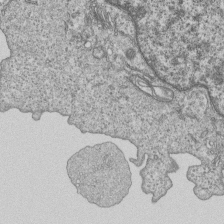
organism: Human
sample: MDA-MB-231 cells